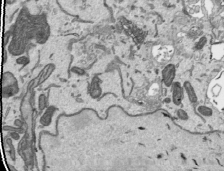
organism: Human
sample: Mitochondria in HCT116 cells